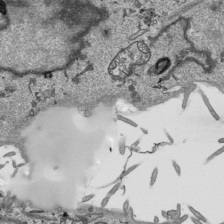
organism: Human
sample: Mitochondria in HCT116 cells